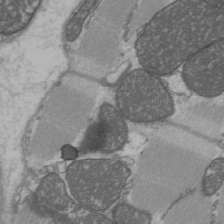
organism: C57BL Mouse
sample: Heart